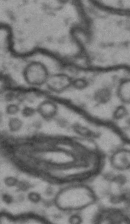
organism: Drosophila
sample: Brain